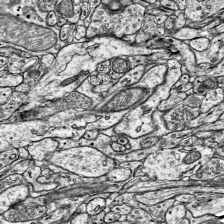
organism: Mouse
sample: Visual Cortex